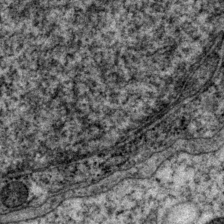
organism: P. pacificus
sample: Pharynx